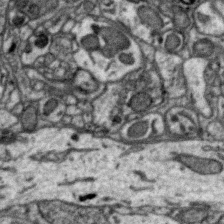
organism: Zebra finch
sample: Brain